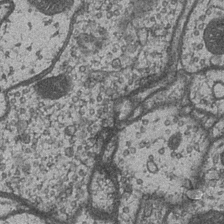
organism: Drosophila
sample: Optic medulla